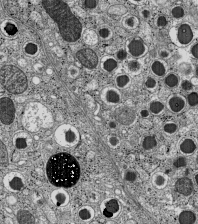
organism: C57BL Mouse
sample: Pancreatic islet